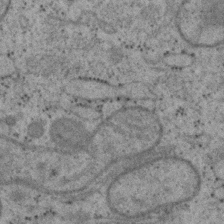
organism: Human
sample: HeLa cells